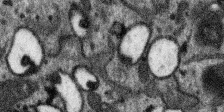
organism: Human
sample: Lung epithelial cells infected with SARS-CoV-2